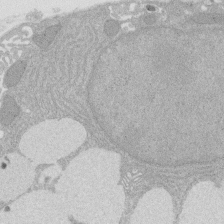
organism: Rat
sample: Salivary granule